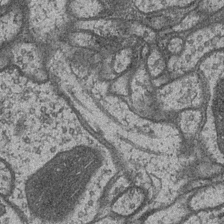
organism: Drosophila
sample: Optic medulla